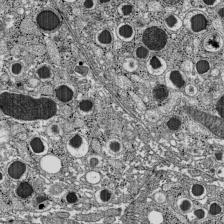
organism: C57BL Mouse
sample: Pancreatic islet